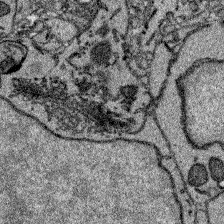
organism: Zebrafish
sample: Larval olfactory bulb